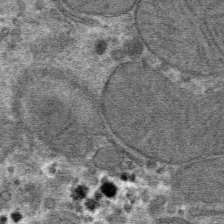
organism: Mouse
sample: Mouse hepatocytes